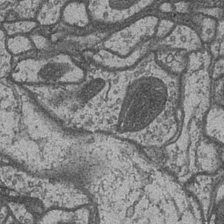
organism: Drosophila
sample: Optic medulla